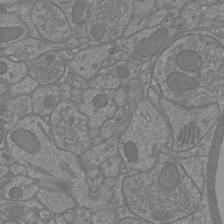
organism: Mouse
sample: Cortical neurons